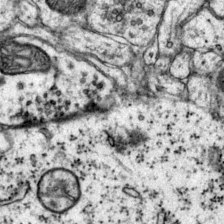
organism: Mouse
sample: Primary visual cortex